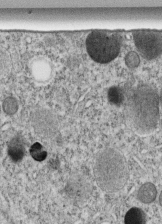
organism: C. elegans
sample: C. elegans embryo early stage